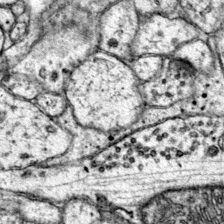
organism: Mouse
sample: Primary visual cortex